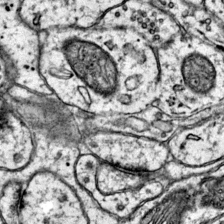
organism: Mouse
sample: Primary visual cortex